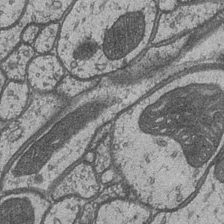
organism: Drosophila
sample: Optic medulla